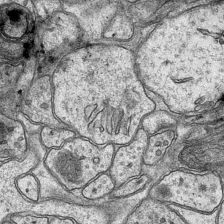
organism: Mouse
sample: CA1 Hippocampus